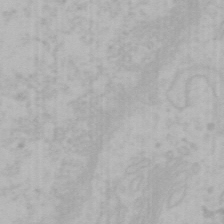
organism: Mouse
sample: Choroid plexus